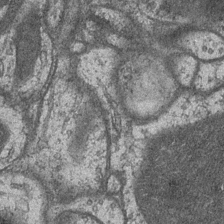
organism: Drosophila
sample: Optic medulla